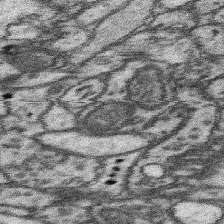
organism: Mouse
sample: Somatosensory cortex neuropil